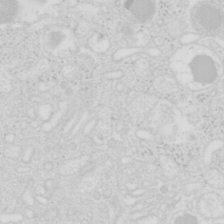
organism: Mouse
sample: Pancreas